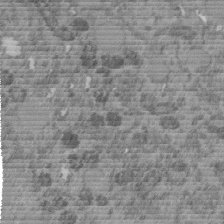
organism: C. elegans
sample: C. elegans embryo early stage